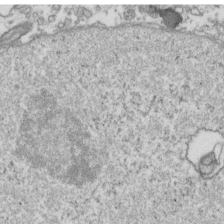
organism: Human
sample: Activated Jurkat CD4+ T cells